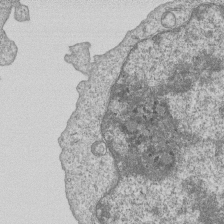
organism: Human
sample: MDA-MB-231 cells